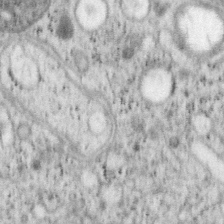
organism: Mouse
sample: OT-I killer T cells with ID8 ovarian cancer cells